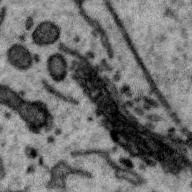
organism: Zebra finch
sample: Brain